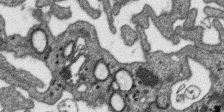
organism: Human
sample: Lung epithelial cells infected with SARS-CoV-2